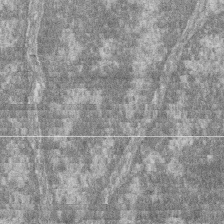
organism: Zebrafish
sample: Cilia; retinal pigment epithelium